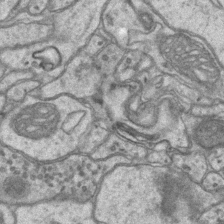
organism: Mouse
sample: CA1 Hippocampus